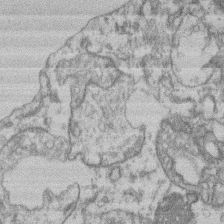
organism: Mouse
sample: T cell stromal cell synapse